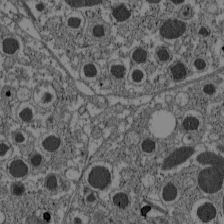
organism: C57BL Mouse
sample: Pancreatic islet